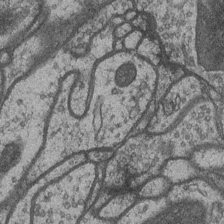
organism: Drosophila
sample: Optic medulla